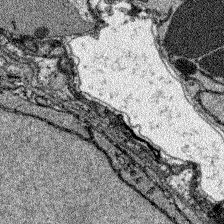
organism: Zebrafish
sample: Larval olfactory bulb